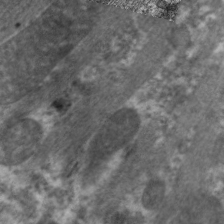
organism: C. elegans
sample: Pharynx